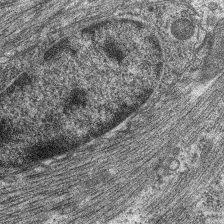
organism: C. elegans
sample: Pharynx